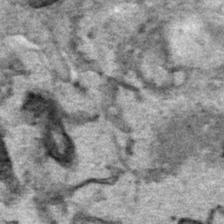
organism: Human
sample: Mitochondria in HCT116 cells